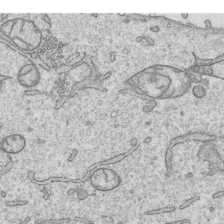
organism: Human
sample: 1205lu cells